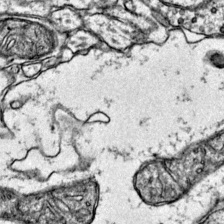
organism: Mouse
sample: Primary visual cortex